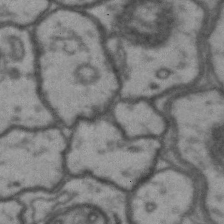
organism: Drosophila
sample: Brain